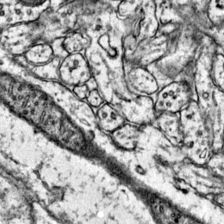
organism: Mouse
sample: Primary visual cortex